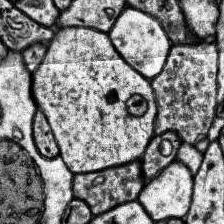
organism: Human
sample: Temporal Lobe